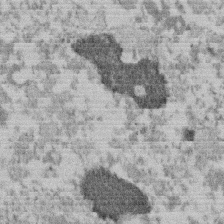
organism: Mouse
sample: Dividing mouse embryo 1 cell stage